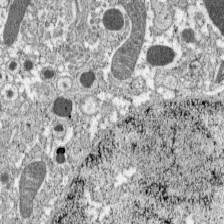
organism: C57BL Mouse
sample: Pancreatic islet